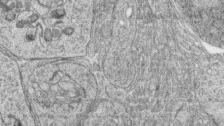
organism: Zebrafish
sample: synaptic ribbons in rod cells and cone cells